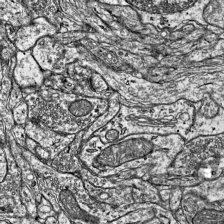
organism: Mouse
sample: Visual Cortex